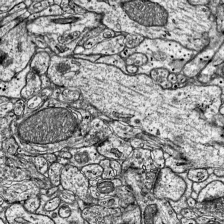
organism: Mouse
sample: Visual Cortex